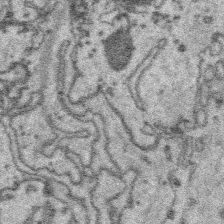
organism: Platynereis dumerilii